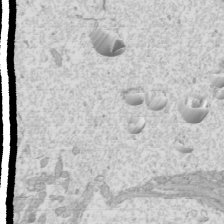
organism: Mouse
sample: Cilia; mouse epididymis